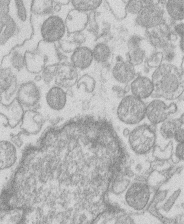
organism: Human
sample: Macrophage cells